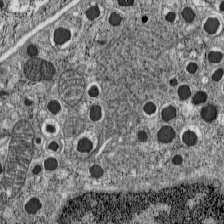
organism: C57BL Mouse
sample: Pancreatic islet